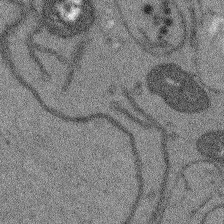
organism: Arabidopsis thaliana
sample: Root tip